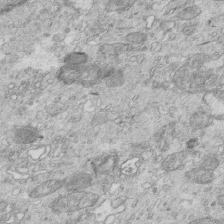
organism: Mouse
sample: Multiciliated cells